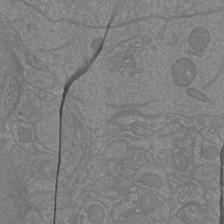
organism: Mouse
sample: Cortical neurons